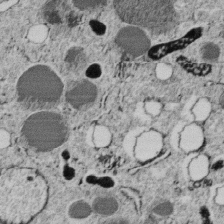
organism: C. elegans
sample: C. elegans embryo early stage